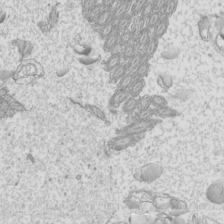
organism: Mouse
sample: Cilia; mouse epididymis